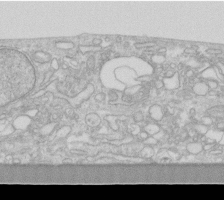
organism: Human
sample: Fibroblast cells